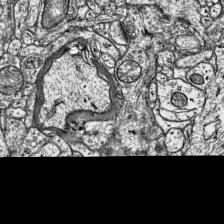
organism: Mouse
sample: Visual Cortex